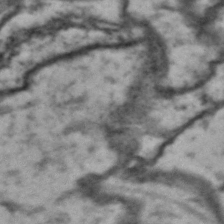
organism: Drosophila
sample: Brain